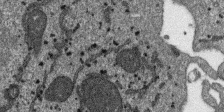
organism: Human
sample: Lung epithelial cells infected with SARS-CoV-2